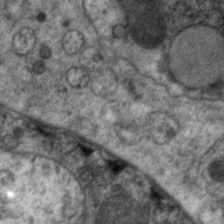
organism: C. elegans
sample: Pharynx